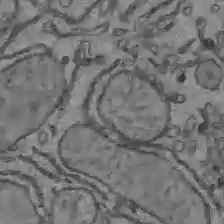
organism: C57BL Mouse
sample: Liver